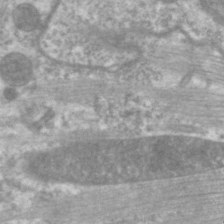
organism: C. elegans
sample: Pharynx